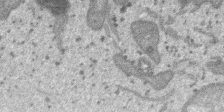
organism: Human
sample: Lung epithelial cells infected with SARS-CoV-2